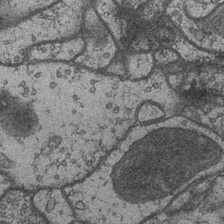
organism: Drosophila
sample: Optic medulla